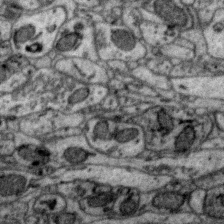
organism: Zebra finch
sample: Brain